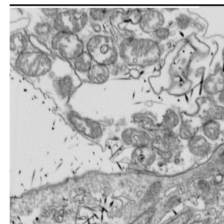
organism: Drosophila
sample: Cell division; meiosis; drosophila spermatocytes